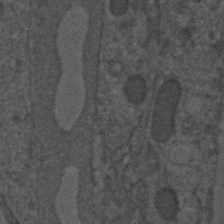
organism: C. elegans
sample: C. elegans embryo